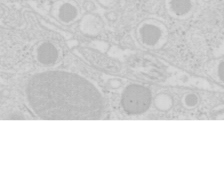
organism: Mouse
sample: Pancreas